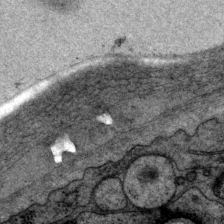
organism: P. pacificus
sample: Pharynx